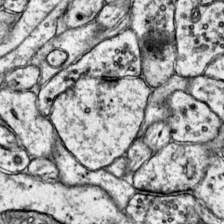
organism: Mouse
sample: Primary visual cortex